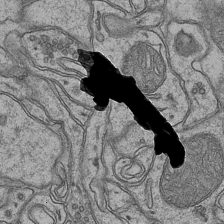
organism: Mouse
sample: CA1 Hippocampus